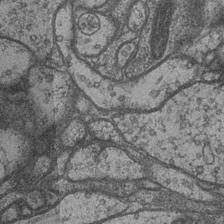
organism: Drosophila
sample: Optic medulla